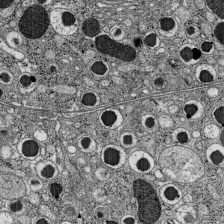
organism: C57BL Mouse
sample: Pancreatic islet